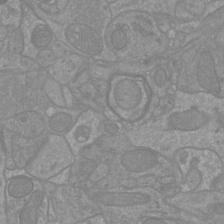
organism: Mouse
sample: Cortical neurons